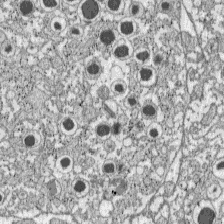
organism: C57BL Mouse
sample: Pancreatic islet